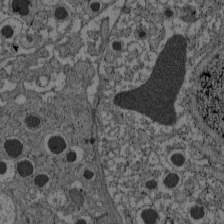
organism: C57BL Mouse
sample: Pancreatic islet